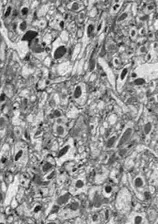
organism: Drosophila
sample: Optic lobe